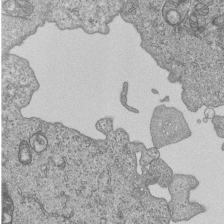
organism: Human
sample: MDA-MB-231 cells